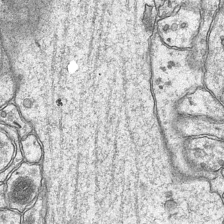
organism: Mouse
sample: CA1 Hippocampus